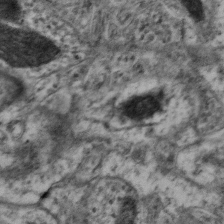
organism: Mouse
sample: Neocortex